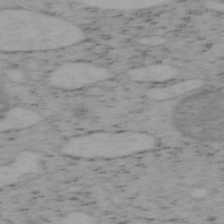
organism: Mouse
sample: OT-I killer T cells with ID8 ovarian cancer cells